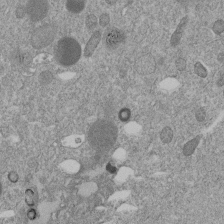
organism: C. elegans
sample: C. elegans embryo early stage